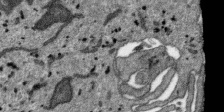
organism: Human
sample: Lung epithelial cells, uninfected (mock) control